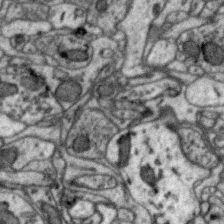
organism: Zebra finch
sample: Brain